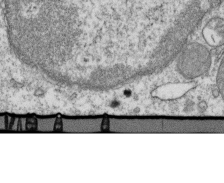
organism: Mouse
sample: Activated OT-1 CD8+ T cells